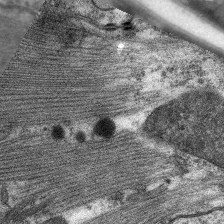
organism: C. elegans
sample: Pharynx